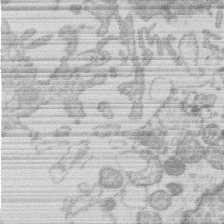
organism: Human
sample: Macrophage cells